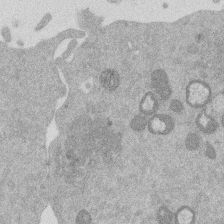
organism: Mouse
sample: Dividing mouse embryo 1 cell stage